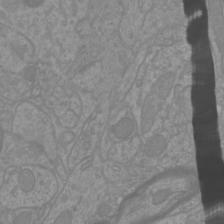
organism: Mouse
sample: Cortical neurons